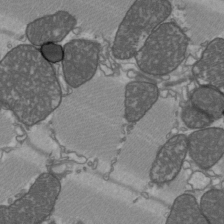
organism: C57BL Mouse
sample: Heart